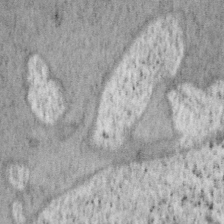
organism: Mouse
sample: OT-I killer T cells with ID8 ovarian cancer cells